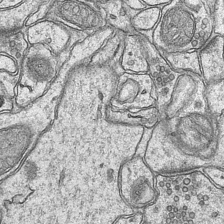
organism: Mouse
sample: CA1 Hippocampus